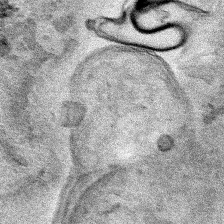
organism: Human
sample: Mitochondria in HCT116 cells